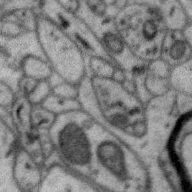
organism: Zebra finch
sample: Brain